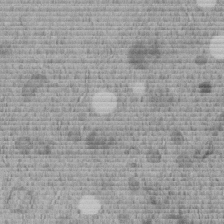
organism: C. elegans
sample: C. elegans embryo early stage